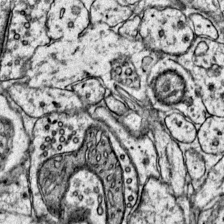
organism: Mouse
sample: Primary visual cortex